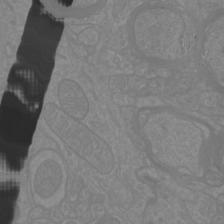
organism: Mouse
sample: Cortical neurons